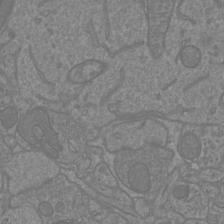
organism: Mouse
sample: Cortical neurons